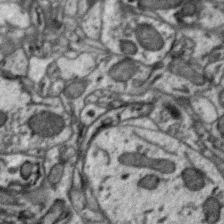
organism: Zebra finch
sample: Brain